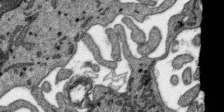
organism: Human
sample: Lung epithelial cells, uninfected (mock) control